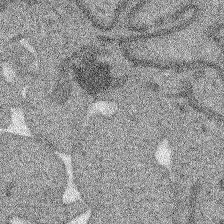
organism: Human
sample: HeLa cells